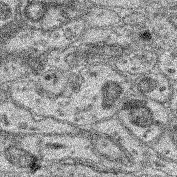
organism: Mouse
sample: Retina